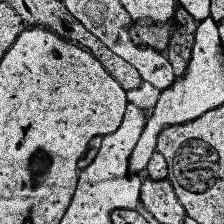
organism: Human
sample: Temporal Lobe